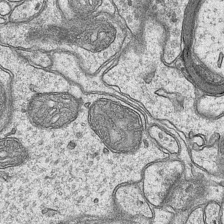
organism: Mouse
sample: CA1 Hippocampus